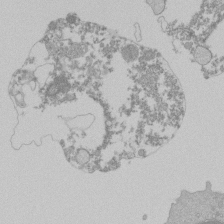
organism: Mouse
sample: Activated Pmel transgenic CD8+ T Cells